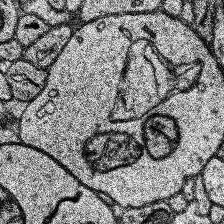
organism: Human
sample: Temporal Lobe